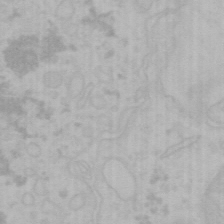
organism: Mouse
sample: Choroid plexus